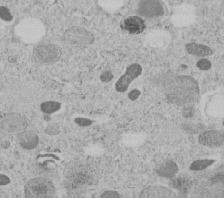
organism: C. elegans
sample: C. elegans embryo early stage